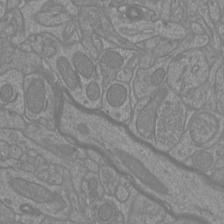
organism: Mouse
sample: Cortical neurons